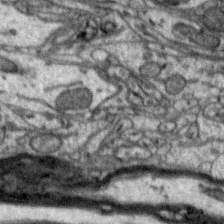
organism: Zebra finch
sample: Brain